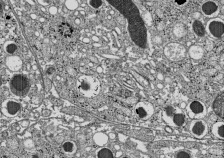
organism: C57BL Mouse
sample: Pancreatic islet